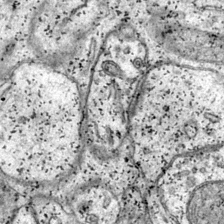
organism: Mouse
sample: Primary visual cortex